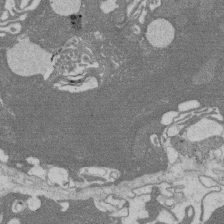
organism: Rat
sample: Salivary granule